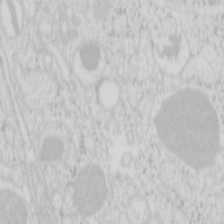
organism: Mouse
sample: Pancreas